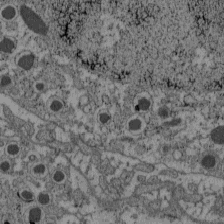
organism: C57BL Mouse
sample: Pancreatic islet